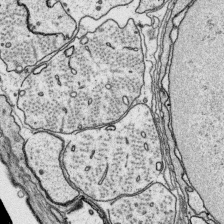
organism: Platynereis dumerilii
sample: Parapodia